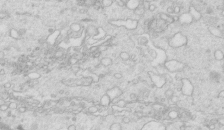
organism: Mouse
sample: Multiciliated cells